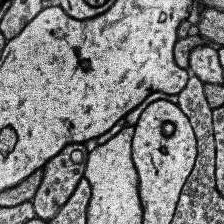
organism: Human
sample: Temporal Lobe